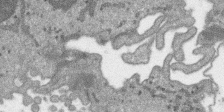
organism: Human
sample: Lung epithelial cells infected with SARS-CoV-2